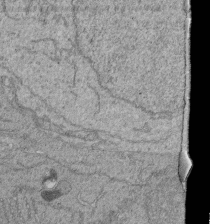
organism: Human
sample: Retinal organoid Rod and Cone cells